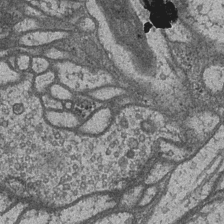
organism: Drosophila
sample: Optic medulla